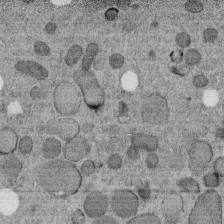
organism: C. elegans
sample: C. elegans embryo early stage